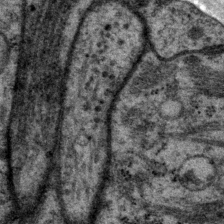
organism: P. pacificus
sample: Pharynx